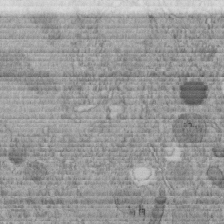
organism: C. elegans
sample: C. elegans embryo early stage